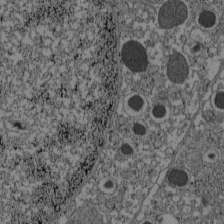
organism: C57BL Mouse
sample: Pancreatic islet